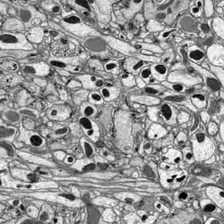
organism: Drosophila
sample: Optic lobe